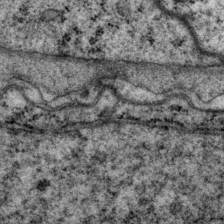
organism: P. pacificus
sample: Pharynx